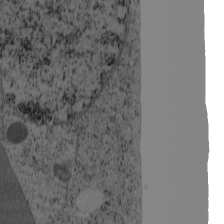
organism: African green monkey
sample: COS-7 cells